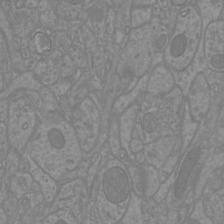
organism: Mouse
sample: Cortical neurons